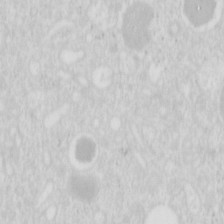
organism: Mouse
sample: Pancreas